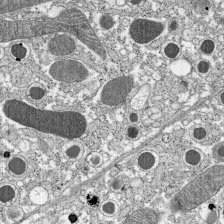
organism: C57BL Mouse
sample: Pancreatic islet